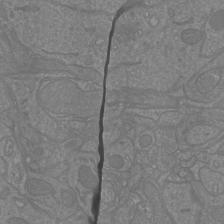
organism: Mouse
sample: Cortical neurons